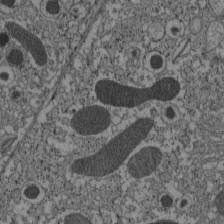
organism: C57BL Mouse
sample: Pancreatic islet